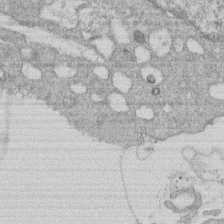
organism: Human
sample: Macrophage cells